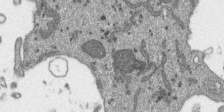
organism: Human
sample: Lung epithelial cells infected with SARS-CoV-2